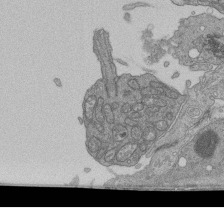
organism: Human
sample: Retinal organoid Rod and Cone cells